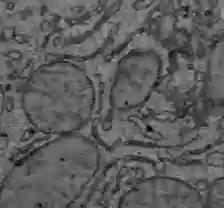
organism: C57BL Mouse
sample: Liver